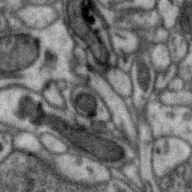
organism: Zebra finch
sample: Brain